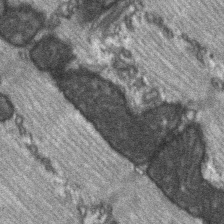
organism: C57BL Mouse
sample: Soleus